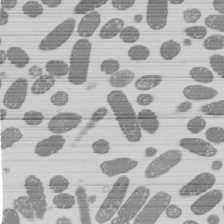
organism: E. coli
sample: Bacterial nucleoid